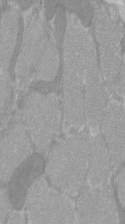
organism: C57BL Mouse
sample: Tibialis anterior muscle cell